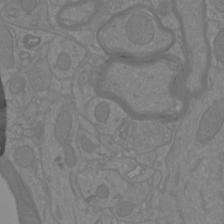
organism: Mouse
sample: Cortical neurons